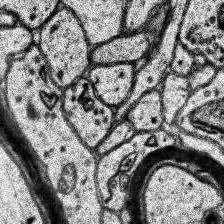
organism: Human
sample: Temporal Lobe